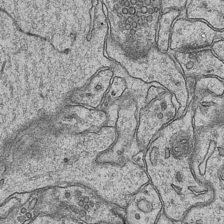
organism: Mouse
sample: CA1 Hippocampus